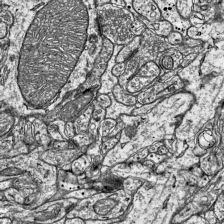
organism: Mouse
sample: Visual Cortex